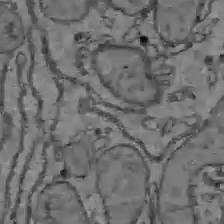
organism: C57BL Mouse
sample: Liver